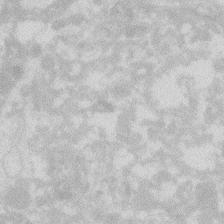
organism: Zebrafish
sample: Macrophage